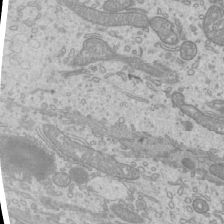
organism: Mouse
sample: Cilia; mouse epididymis